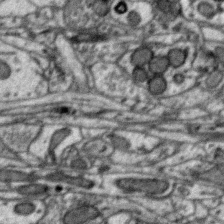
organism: Zebra finch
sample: Brain